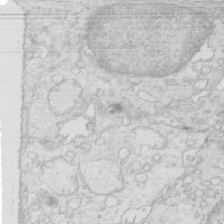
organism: Mouse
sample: Multiciliated cells